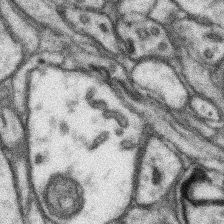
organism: Mouse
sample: Somatosensory cortex neuropil